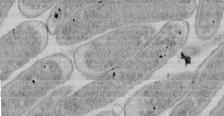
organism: E. coli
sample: Bacterial nucleoid